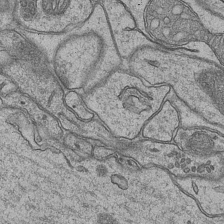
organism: Mouse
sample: CA1 Hippocampus